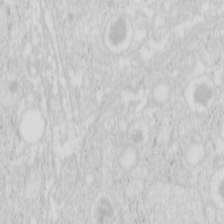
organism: Mouse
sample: Pancreas